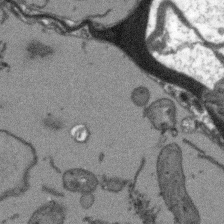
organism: Arabidopsis thaliana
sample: Root tip